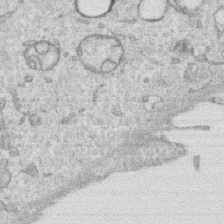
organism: Human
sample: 1205lu cells